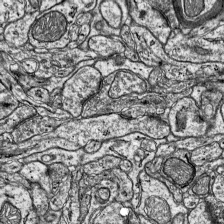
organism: Mouse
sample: Visual Cortex